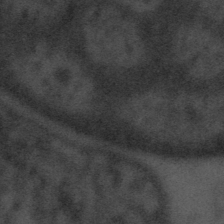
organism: Tuwongella immobilis